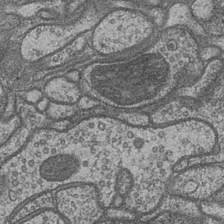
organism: Drosophila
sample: Optic medulla